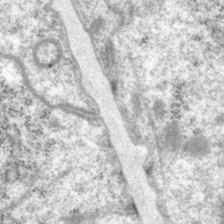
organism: P. pacificus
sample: Pharynx